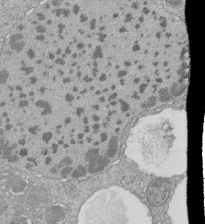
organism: Tetrahymena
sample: Cilia in tetrahymena